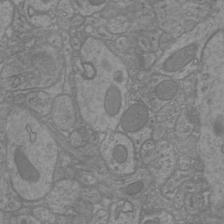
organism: Mouse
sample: Cortical neurons